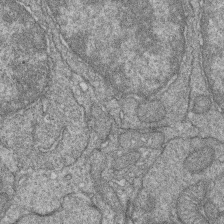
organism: Zebrafish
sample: Cilia; retinal pigment epithelium